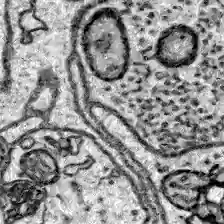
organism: Zebrafish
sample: Brain